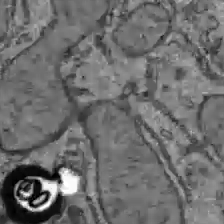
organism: C57BL Mouse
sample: Liver